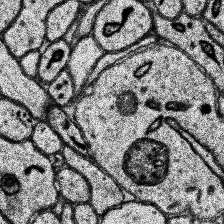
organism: Human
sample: Temporal Lobe